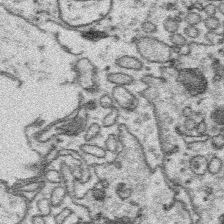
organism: Platynereis dumerilii